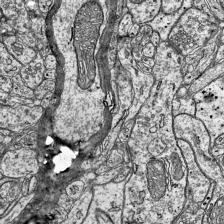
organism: Mouse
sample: Visual Cortex